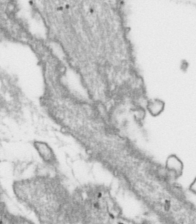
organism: Toxoplasma gondii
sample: Parasites in a vacuole inside a host cell